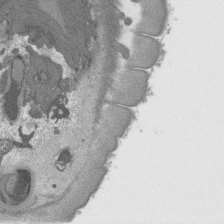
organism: C. elegans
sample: AFD neurons C. elegans